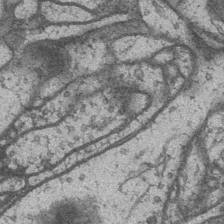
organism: Drosophila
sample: Optic medulla